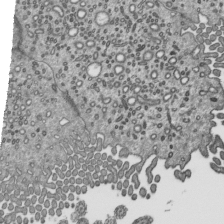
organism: Mouse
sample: Mouse epididymis efferent ductule cilia